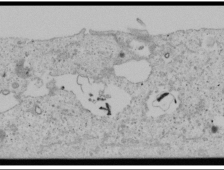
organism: Human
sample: Mitochondria in U2OS cells